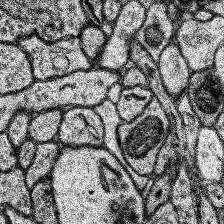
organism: Human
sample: Temporal Lobe